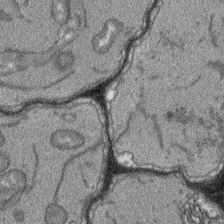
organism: Arabidopsis thaliana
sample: Root tip